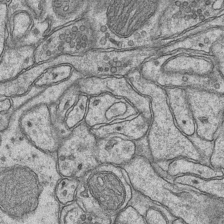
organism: Mouse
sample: CA1 Hippocampus